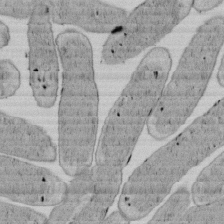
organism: E. coli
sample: Bacterial nucleoid